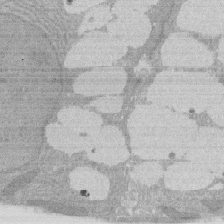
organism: Rat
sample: Salivary granule